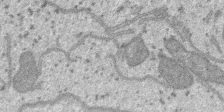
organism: Human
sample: Lung epithelial cells infected with SARS-CoV-2